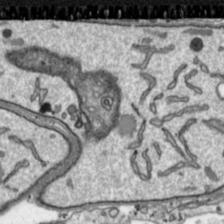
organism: Toxoplasma gondii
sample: Parasites in a vacuole inside a host cell